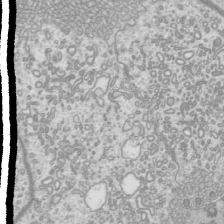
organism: Mouse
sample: Cilia; mouse epididymis